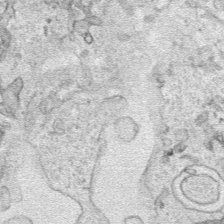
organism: Human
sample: Mitochondria in HCT116 cells